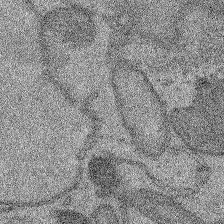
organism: Human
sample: HeLa cells